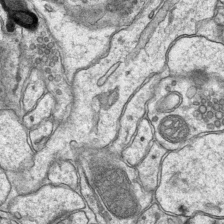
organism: Mouse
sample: CA1 Hippocampus